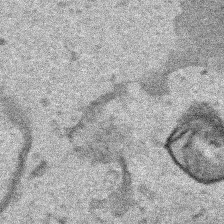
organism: Human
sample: Mitochondria in HCT116 cells